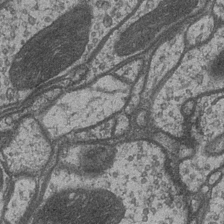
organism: Drosophila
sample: Optic medulla